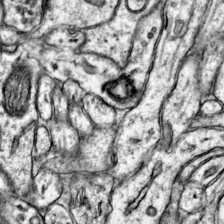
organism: Mouse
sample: Primary visual cortex